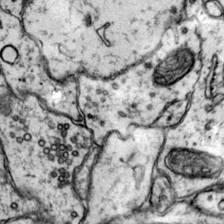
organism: Mouse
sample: Primary visual cortex